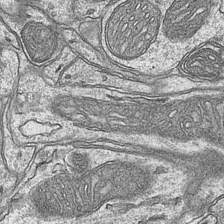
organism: Mouse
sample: CA1 Hippocampus